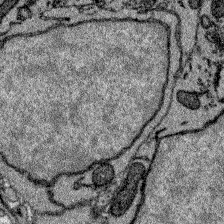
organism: Zebrafish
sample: Larval olfactory bulb